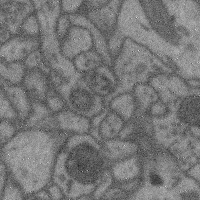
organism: Mouse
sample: Cerebral cortex